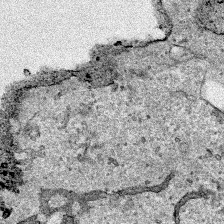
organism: Human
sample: Mitochondria in HCT116 cells